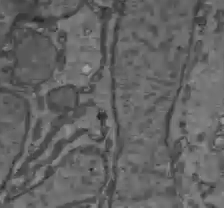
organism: C57BL Mouse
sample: Liver